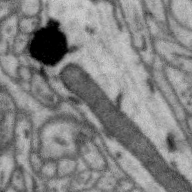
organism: Zebra finch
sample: Brain